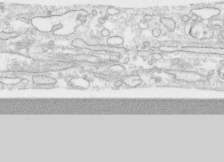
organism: Human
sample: CRL-1474